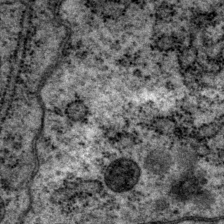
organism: P. pacificus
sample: Pharynx